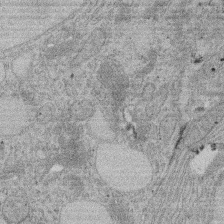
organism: Rat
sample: Salivary granule